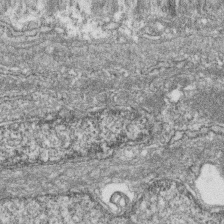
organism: Zebrafish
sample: Cilia; retinal pigment epithelium